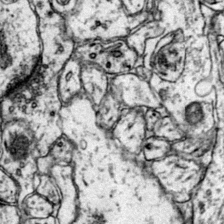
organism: Mouse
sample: Primary visual cortex